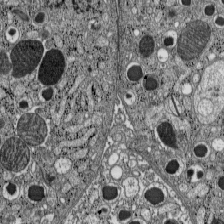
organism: C57BL Mouse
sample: Pancreatic islet